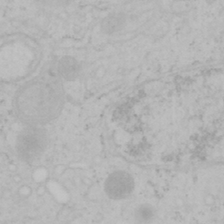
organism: Human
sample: HeLa cells